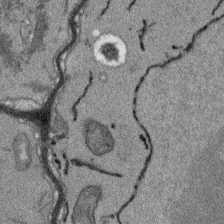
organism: Arabidopsis thaliana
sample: Root tip